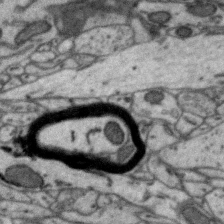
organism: Zebra finch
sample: Brain